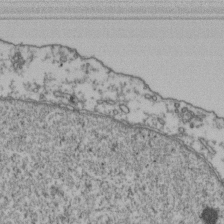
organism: Human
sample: Activated Jurkat CD4+ T cells